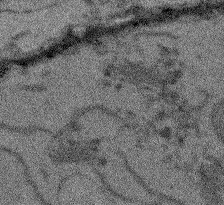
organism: Arabidopsis thaliana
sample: Root tip